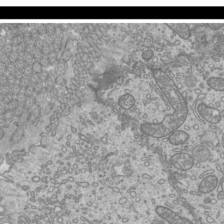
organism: Mouse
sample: Cilia; mouse epididymis